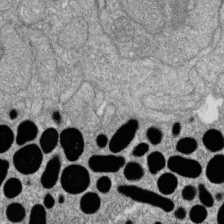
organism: Zebrafish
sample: Cilia; retinal pigment epithelium